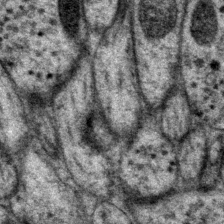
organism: P. pacificus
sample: Pharynx